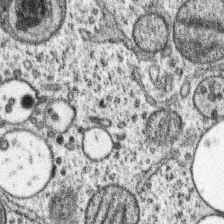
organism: Human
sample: HeLa cells